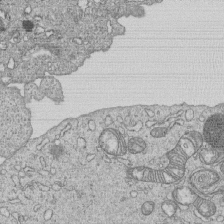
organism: Human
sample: MDA-MB-231 cells